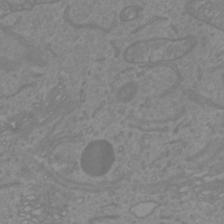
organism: Mouse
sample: Cortical neurons